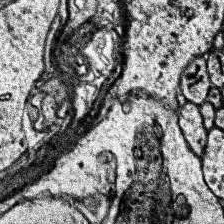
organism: Human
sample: Temporal Lobe